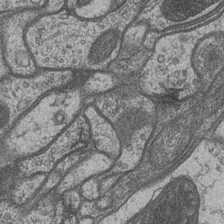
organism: Drosophila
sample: Optic medulla